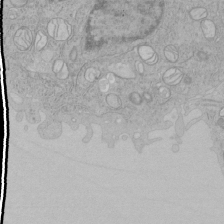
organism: Human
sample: Mitochondria in HCT116 cells